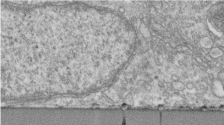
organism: Human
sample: Centriole in fibroblast cells